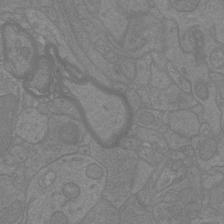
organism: Mouse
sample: Cortical neurons